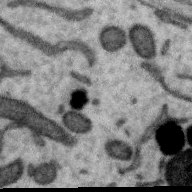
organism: Zebra finch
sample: Brain